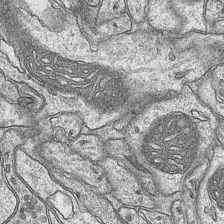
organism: Mouse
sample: CA1 Hippocampus